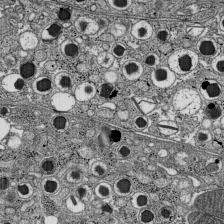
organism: C57BL Mouse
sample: Pancreatic islet